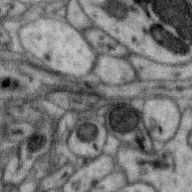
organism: Zebra finch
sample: Brain